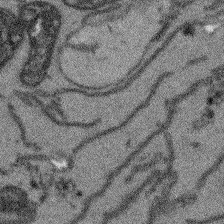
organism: Arabidopsis thaliana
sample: Root tip